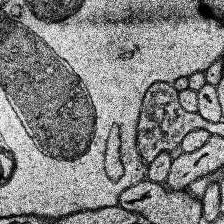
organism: Human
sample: Temporal Lobe